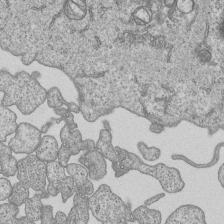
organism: Human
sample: MDA-MB-231 cells